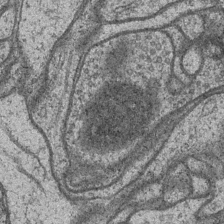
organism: Drosophila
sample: Optic medulla